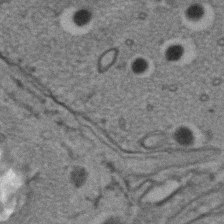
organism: C. elegans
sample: C. elegans embryo